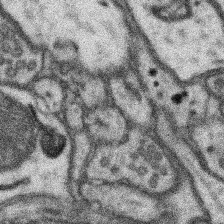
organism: Mouse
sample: Somatosensory cortex neuropil